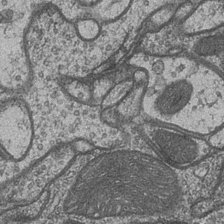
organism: Drosophila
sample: Optic medulla